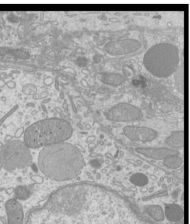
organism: Mouse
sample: Cilia; mouse epididymis